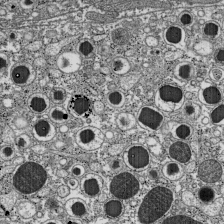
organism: C57BL Mouse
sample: Pancreatic islet